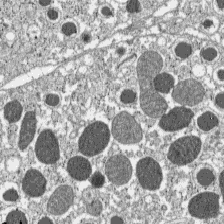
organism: C57BL Mouse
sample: Pancreatic islet